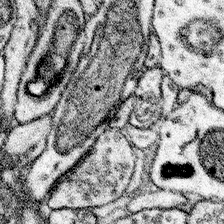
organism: Mouse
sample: Somatosensory cortex neuropil